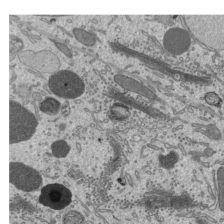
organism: Mouse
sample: Mouse epididymis efferent ductule cilia